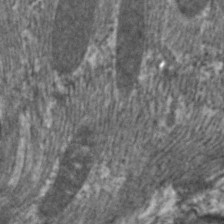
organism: C. elegans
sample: Pharynx